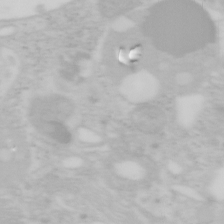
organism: Mouse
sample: OT-I killer T cells with ID8 ovarian cancer cells